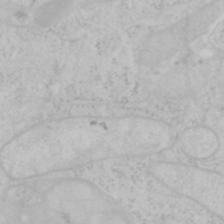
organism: Mouse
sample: OT-I killer T cells with ID8 ovarian cancer cells